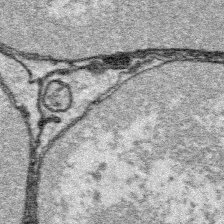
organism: Platynereis dumerilii